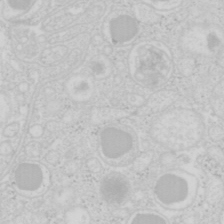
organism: Mouse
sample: Pancreas